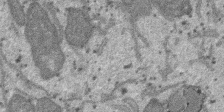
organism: Human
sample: Lung epithelial cells infected with SARS-CoV-2